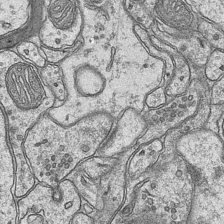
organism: Mouse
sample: CA1 Hippocampus